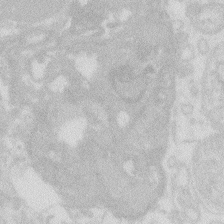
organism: Zebrafish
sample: Macrophage